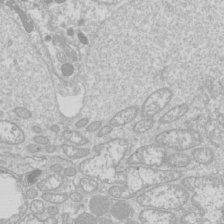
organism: Drosophila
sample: Cell division; meiosis; drosophila spermatocytes